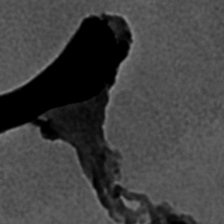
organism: C. elegans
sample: C. elegans embryo